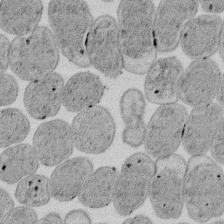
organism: E. coli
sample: Bacterial nucleoid